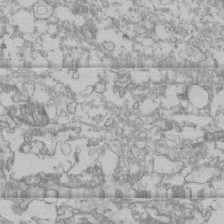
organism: Human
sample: CRL-1474